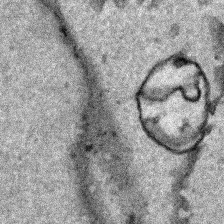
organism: Human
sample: Mitochondria in HCT116 cells